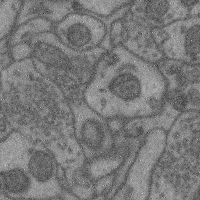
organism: Mouse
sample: Cerebral cortex